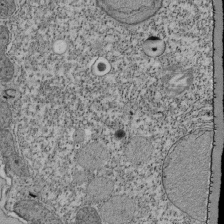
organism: Tetrahymena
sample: Cilia in tetrahymena